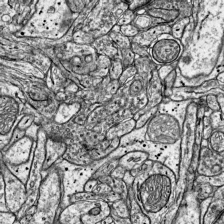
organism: Mouse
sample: Visual Cortex